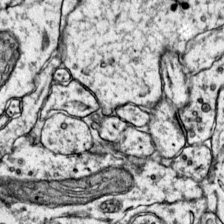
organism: Mouse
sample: Primary visual cortex